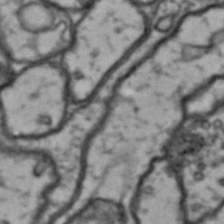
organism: Drosophila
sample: Brain